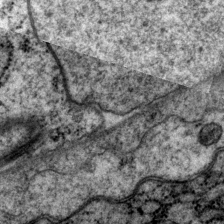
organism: P. pacificus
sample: Pharynx